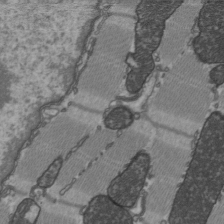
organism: C57BL Mouse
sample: Heart